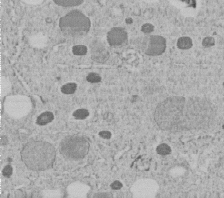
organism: C. elegans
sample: C. elegans embryo early stage